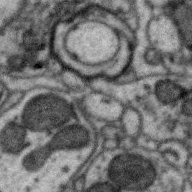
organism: Zebra finch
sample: Brain